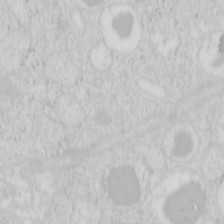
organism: Mouse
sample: Pancreas